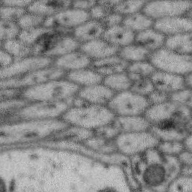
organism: Zebra finch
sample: Brain